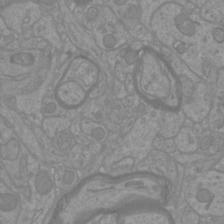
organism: Mouse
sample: Cortical neurons